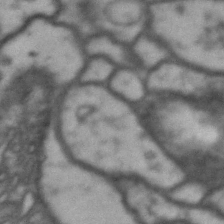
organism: Drosophila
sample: Brain